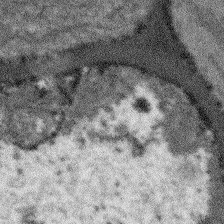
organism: Arabidopsis thaliana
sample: Root tip